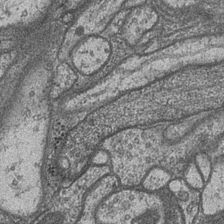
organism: Drosophila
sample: Optic medulla